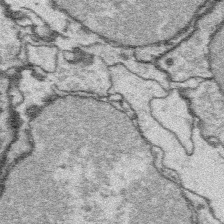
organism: Platynereis dumerilii